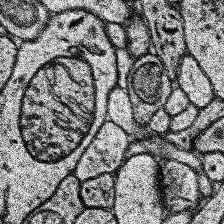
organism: Human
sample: Temporal Lobe